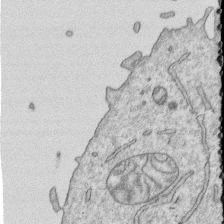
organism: Human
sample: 1205lu cells